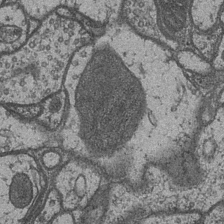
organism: Drosophila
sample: Optic medulla